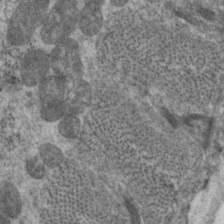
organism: C. elegans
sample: Pharynx